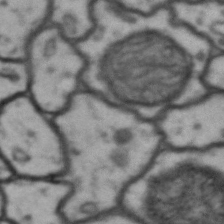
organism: Drosophila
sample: Brain